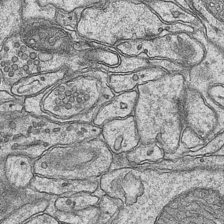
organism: Mouse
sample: CA1 Hippocampus